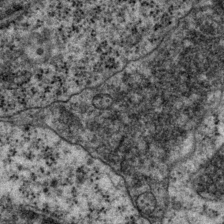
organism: P. pacificus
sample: Pharynx